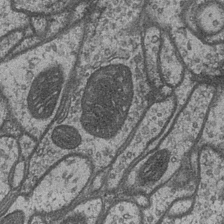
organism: Drosophila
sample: Optic medulla